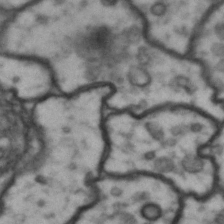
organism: Drosophila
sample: Brain